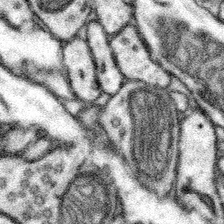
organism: Mouse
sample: Somatosensory cortex neuropil